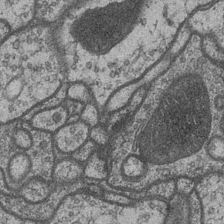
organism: Drosophila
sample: Optic medulla